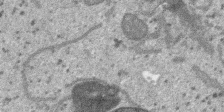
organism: Human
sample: Lung epithelial cells infected with SARS-CoV-2